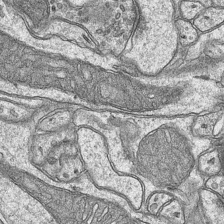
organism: Mouse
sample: CA1 Hippocampus